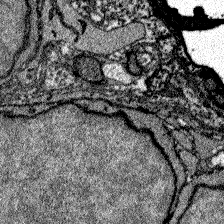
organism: Zebrafish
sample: Larval olfactory bulb